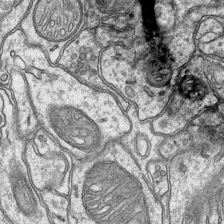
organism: Mouse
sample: CA1 Hippocampus